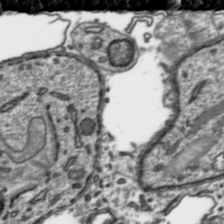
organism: Toxoplasma gondii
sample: Parasites in a vacuole inside a host cell